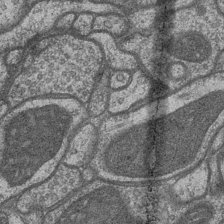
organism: Drosophila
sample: Optic medulla